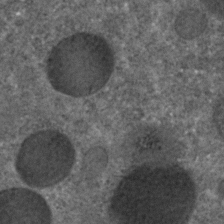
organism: C. elegans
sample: C. elegans embryo